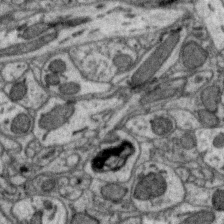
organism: Zebra finch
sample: Brain